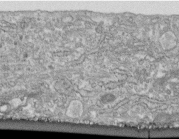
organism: Human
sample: Centriole in fibroblast cells